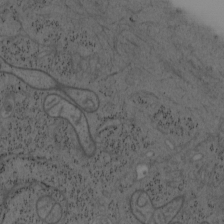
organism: Mouse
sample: OT-I killer T cells with ID8 ovarian cancer cells